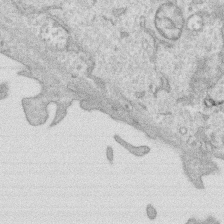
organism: Human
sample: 1205lu cells